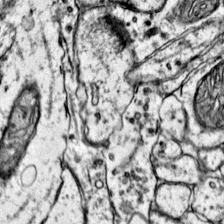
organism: Mouse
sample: Primary visual cortex